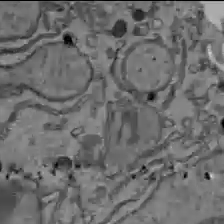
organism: C57BL Mouse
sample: Liver